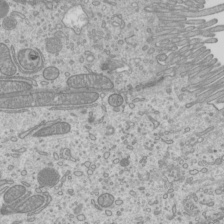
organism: Mouse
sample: Cilia; mouse epididymis